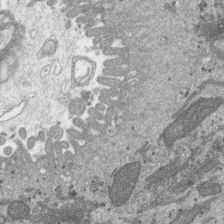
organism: Human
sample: Lung epithelial cells infected with SARS-CoV-2